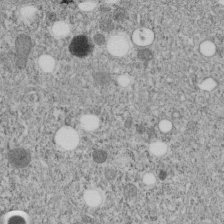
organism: C. elegans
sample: C. elegans embryo early stage